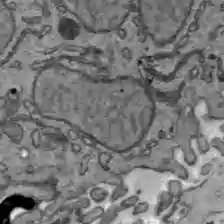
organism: C57BL Mouse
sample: Liver